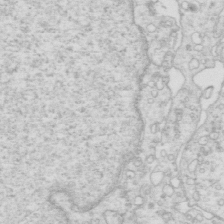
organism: Mouse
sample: Multiciliated cells